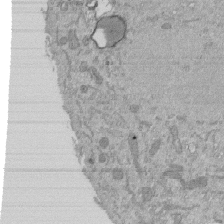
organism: Mouse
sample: ED-1 cell nuclei; centrioles